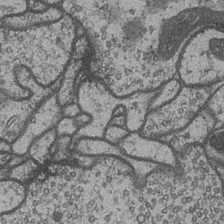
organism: Drosophila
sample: Optic medulla